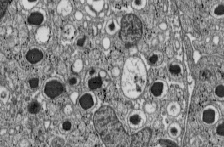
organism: C57BL Mouse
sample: Pancreatic islet